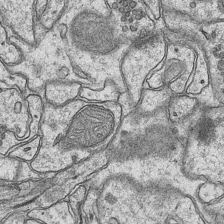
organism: Mouse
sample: CA1 Hippocampus